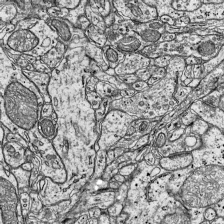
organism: Mouse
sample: Visual Cortex